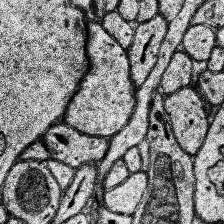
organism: Human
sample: Temporal Lobe